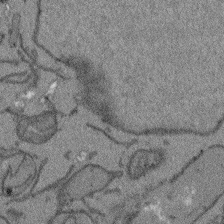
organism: Arabidopsis thaliana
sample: Root tip